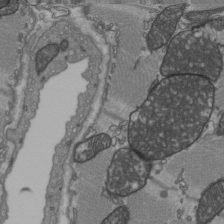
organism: C57BL Mouse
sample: Heart